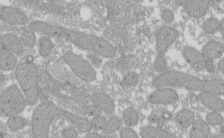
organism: Xenopus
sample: Cilia; centrioles in frog embryo cells